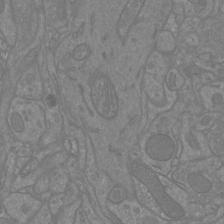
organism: Mouse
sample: Cortical neurons